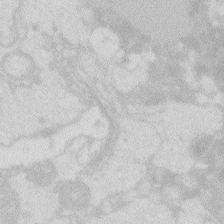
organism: Zebrafish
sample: Macrophage